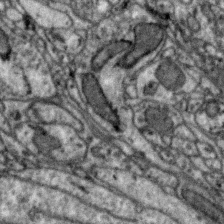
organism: Zebra finch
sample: Brain